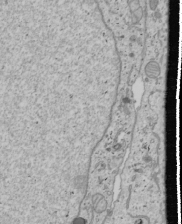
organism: Human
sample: Mitochondria in U2OS cells